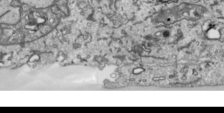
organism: Human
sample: Mitochondria in HCT116 cells